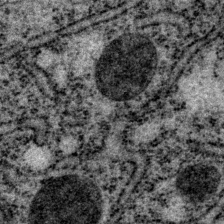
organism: P. pacificus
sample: Pharynx